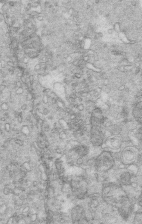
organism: Mouse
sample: Multiciliated cells